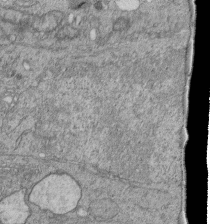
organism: Human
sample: Retinal organoid Rod and Cone cells